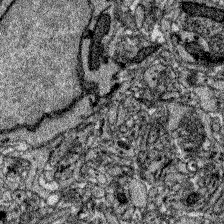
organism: Zebrafish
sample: Larval olfactory bulb